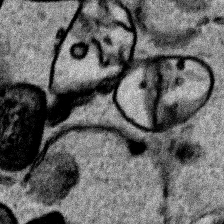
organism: Human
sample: Mitochondria in HCT116 cells